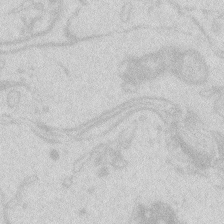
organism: Zebrafish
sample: Macrophage